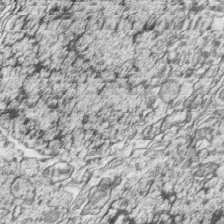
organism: Zebrafish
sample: synaptic ribbons in rod cells and cone cells